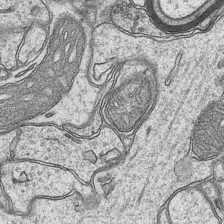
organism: Mouse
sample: CA1 Hippocampus